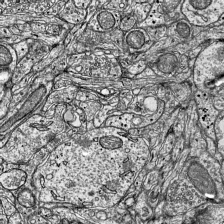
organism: Mouse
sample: Visual Cortex